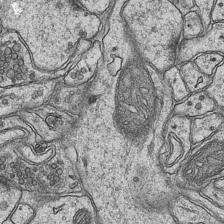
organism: Mouse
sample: CA1 Hippocampus